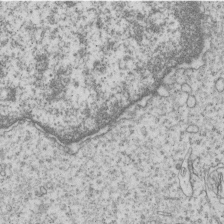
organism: Human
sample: MDA-MB-231 cells